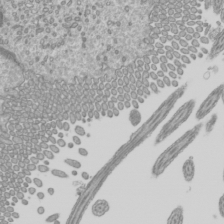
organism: Mouse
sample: Cilia; mouse epididymis